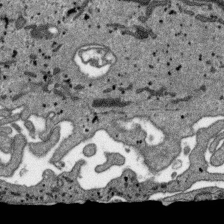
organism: Human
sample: Lung epithelial cells, uninfected (mock) control